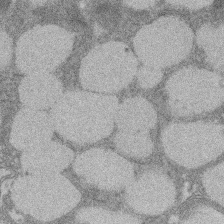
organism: Rat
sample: Salivary granule